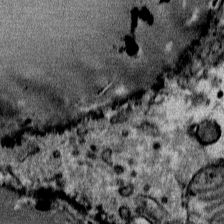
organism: Mouse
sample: Mouse Salivary gland